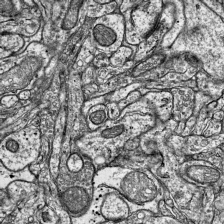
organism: Mouse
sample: Visual Cortex